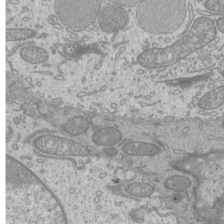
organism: Mouse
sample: Cilia; mouse epididymis